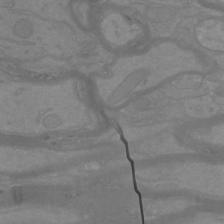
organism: Mouse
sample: Cortical neurons